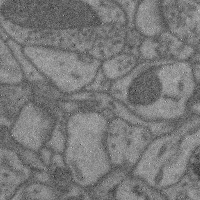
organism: Mouse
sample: Cerebral cortex